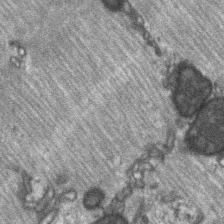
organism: C57BL Mouse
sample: Soleus